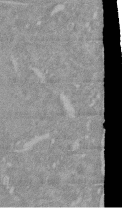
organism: Mouse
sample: ED-1 cell nuclei; centrioles